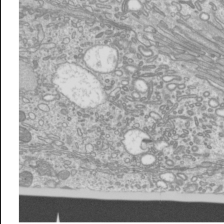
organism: Mouse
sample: Cilia; mouse epididymis